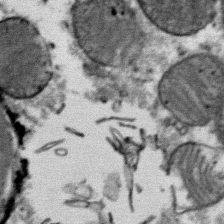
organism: Mouse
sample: Mouse Salivary gland